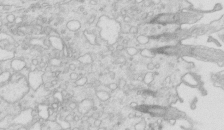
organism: Mouse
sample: Multiciliated cells